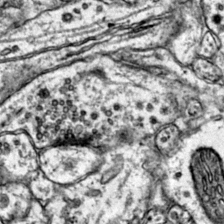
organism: Mouse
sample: Primary visual cortex